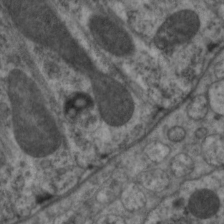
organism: C. elegans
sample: Pharynx